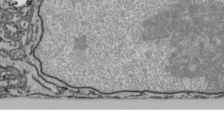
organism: Human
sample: Mitochondria in HCT116 cells